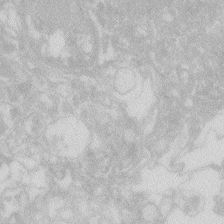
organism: Zebrafish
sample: Macrophage